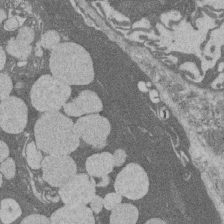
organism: Rat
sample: Salivary granule